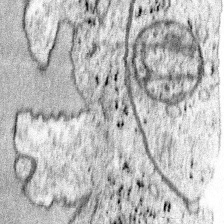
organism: Human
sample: HeLa cells